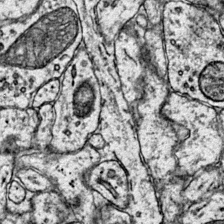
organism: Mouse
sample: Primary visual cortex